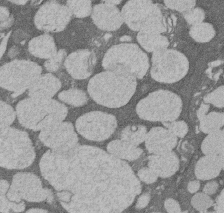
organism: Rat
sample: Salivary granule